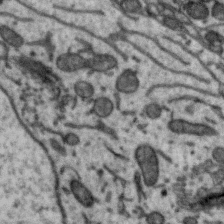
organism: Zebra finch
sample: Brain